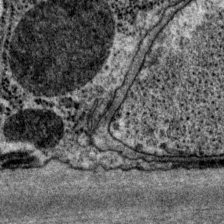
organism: P. pacificus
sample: Pharynx